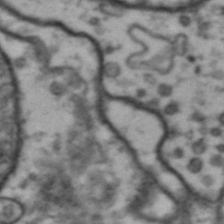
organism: Drosophila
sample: Brain